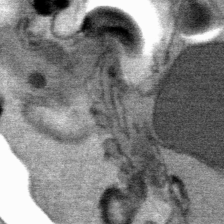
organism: Mouse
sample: Mouse Salivary gland